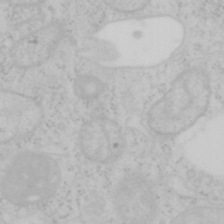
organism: Mouse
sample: OT-I killer T cells with ID8 ovarian cancer cells